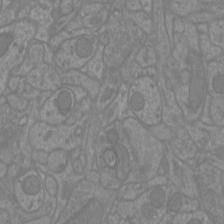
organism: Mouse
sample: Cortical neurons